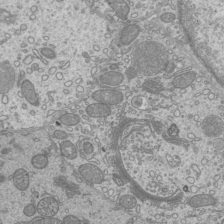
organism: Mouse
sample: Cilia; mouse epididymis